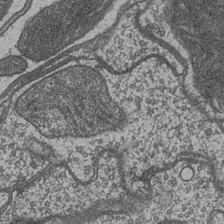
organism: Drosophila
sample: Optic medulla